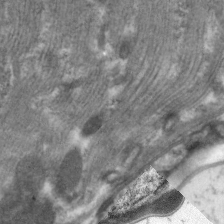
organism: C. elegans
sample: Pharynx